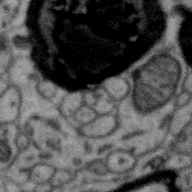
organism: Zebra finch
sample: Brain